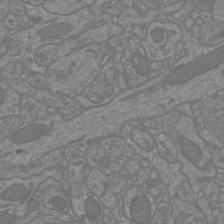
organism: Mouse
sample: Cortical neurons